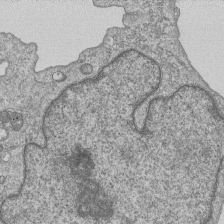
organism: Human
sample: MDA-MB-231 cells